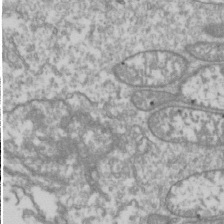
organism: Drosophila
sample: Cell division; meiosis; drosophila spermatocytes